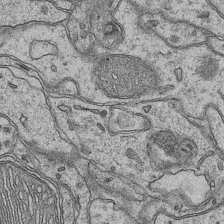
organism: Mouse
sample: CA1 Hippocampus